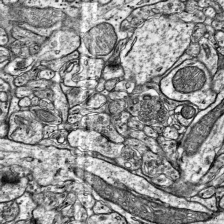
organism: Mouse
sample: Visual Cortex